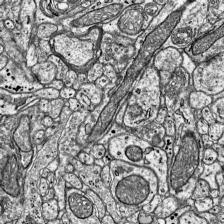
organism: Mouse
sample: Visual Cortex